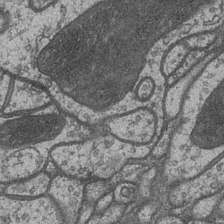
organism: Drosophila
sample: Optic medulla